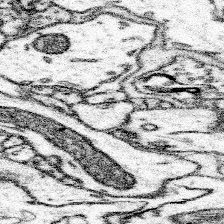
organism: Mouse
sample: Somatosensory cortex neuropil